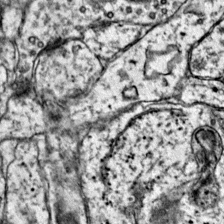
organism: Mouse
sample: Primary visual cortex